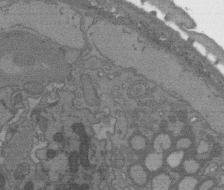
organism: C. elegans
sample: AFD neurons C. elegans